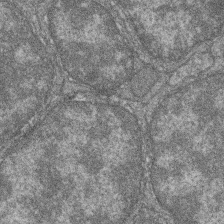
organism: Zebrafish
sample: Cilia; retinal pigment epithelium